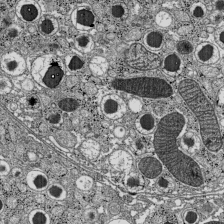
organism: C57BL Mouse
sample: Pancreatic islet